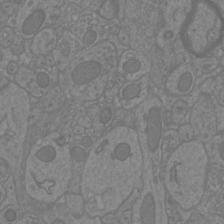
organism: Mouse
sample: Cortical neurons